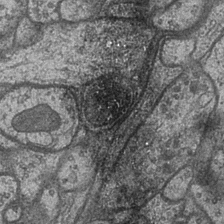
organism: Drosophila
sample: Optic medulla